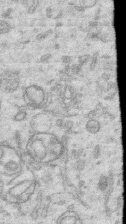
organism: Human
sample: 1205lu cells